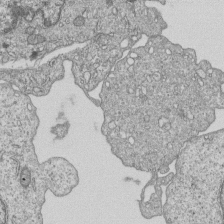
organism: Human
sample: MDA-MB-231 cells